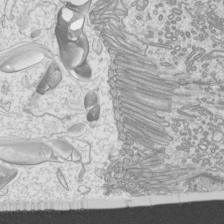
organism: Mouse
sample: Cilia; mouse epididymis